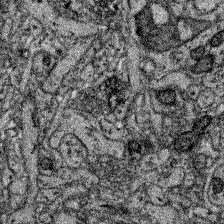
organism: Zebrafish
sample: Larval olfactory bulb